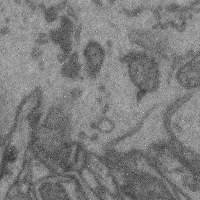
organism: Mouse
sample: Cerebral cortex